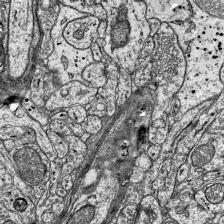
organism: Mouse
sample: Visual Cortex